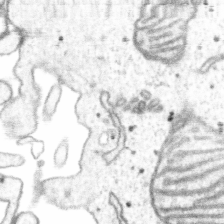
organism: Human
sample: HeLa cells